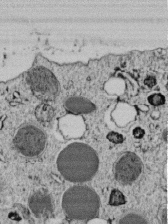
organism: C. elegans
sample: C. elegans embryo early stage